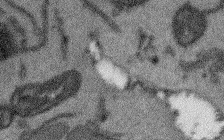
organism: Arabidopsis thaliana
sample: Root tip